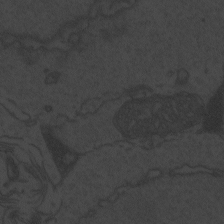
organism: Zebrafish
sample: Macrophage infected with Toxoplasma gondii